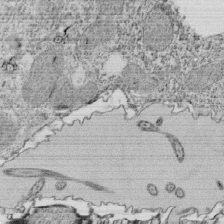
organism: Tetrahymena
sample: Cilia in tetrahymena